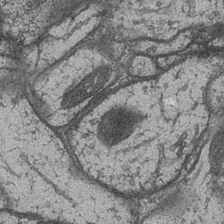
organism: Drosophila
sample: Optic medulla